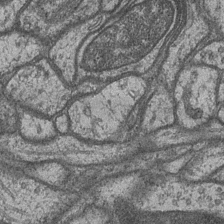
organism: Drosophila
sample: Optic medulla